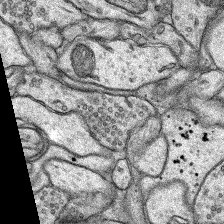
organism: Rat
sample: Hippocampus